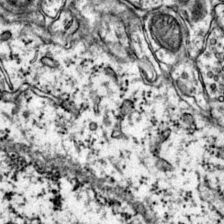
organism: Mouse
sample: Primary visual cortex